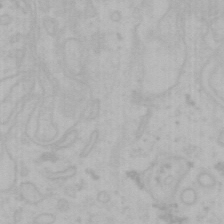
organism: Mouse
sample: Choroid plexus